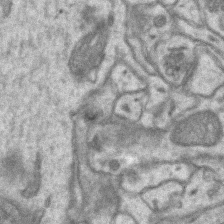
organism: Mouse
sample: CA1 Hippocampus